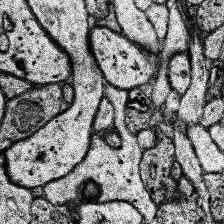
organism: Human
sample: Temporal Lobe